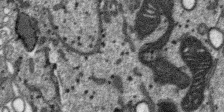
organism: Human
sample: Lung epithelial cells infected with SARS-CoV-2